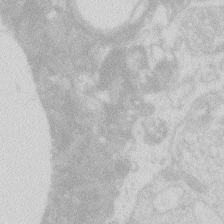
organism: Zebrafish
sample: Macrophage